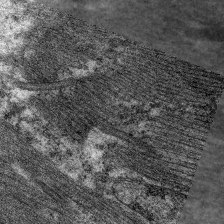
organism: C. elegans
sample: Pharynx